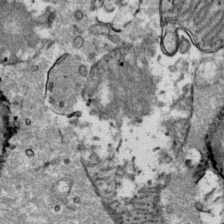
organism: Mouse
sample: Mouse Salivary gland